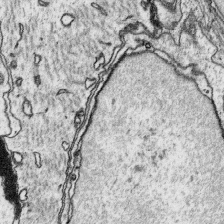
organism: Platynereis dumerilii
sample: Parapodia